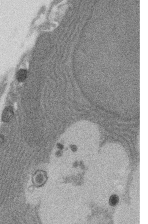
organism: Rat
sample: Salivary granule